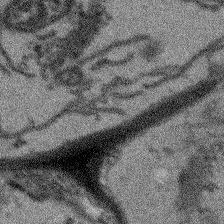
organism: Arabidopsis thaliana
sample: Root tip